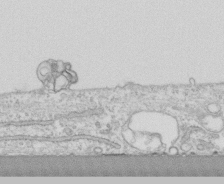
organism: Human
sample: CRL-1474